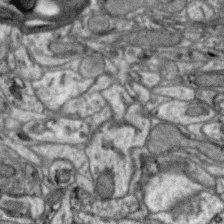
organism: Zebra finch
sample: Brain